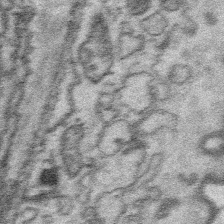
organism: Platynereis dumerilii